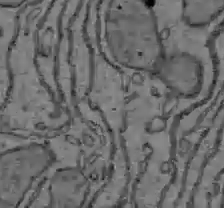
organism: C57BL Mouse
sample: Liver